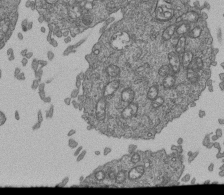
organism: Human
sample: Retinal organoid Rod and Cone cells